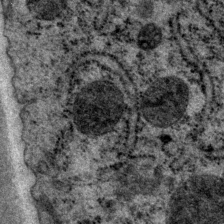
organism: P. pacificus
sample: Pharynx